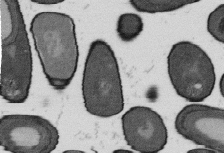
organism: B. subtilis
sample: Bacterial spore